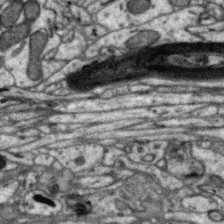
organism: Zebra finch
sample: Brain